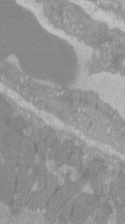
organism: C57BL Mouse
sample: Tibialis anterior muscle cell